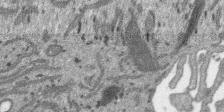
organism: Human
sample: Lung epithelial cells infected with SARS-CoV-2